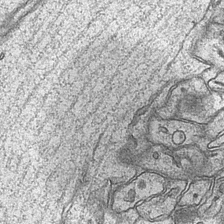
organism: Mouse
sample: CA1 Hippocampus